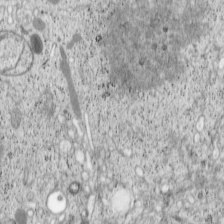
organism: African green monkey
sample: COS-7 cells